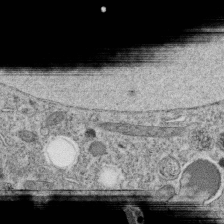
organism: C. elegans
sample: C. elegans oocyte; sperm cells